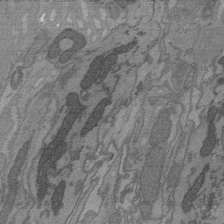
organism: C. elegans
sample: AFD neurons C. elegans